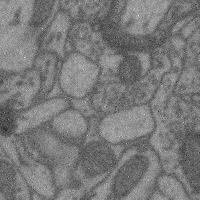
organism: Mouse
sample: Cerebral cortex